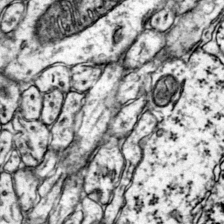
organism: Mouse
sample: Primary visual cortex